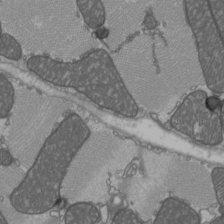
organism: C57BL Mouse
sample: Heart